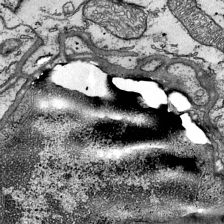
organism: Mouse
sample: Visual Cortex